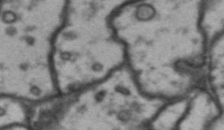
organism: Drosophila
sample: Brain